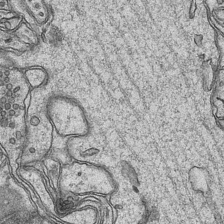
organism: Mouse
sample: CA1 Hippocampus